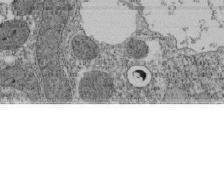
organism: Tetrahymena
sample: Cilia in tetrahymena